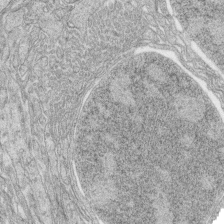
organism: Zebrafish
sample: synaptic ribbons in rod cells and cone cells